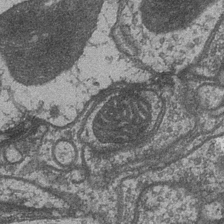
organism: Drosophila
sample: Optic medulla